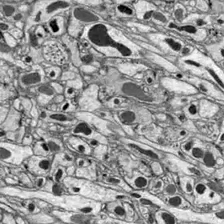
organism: Drosophila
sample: Optic lobe